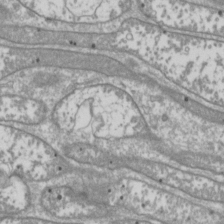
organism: Drosophila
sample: Cell division; meiosis; drosophila spermatocytes